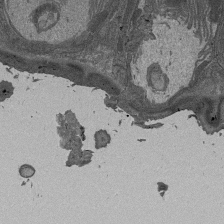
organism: Drosophila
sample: Antenna